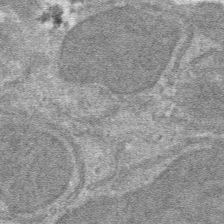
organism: Mouse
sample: Mouse hepatocytes